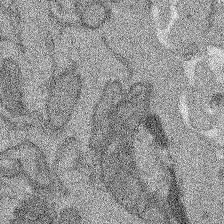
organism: Human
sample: HeLa cells